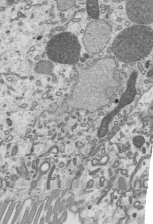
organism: Mouse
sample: Mouse epididymis efferent ductule cilia